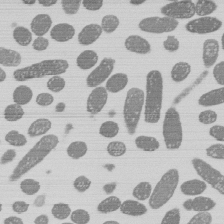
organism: E. coli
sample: Bacterial nucleoid